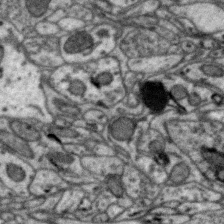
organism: Zebra finch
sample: Brain